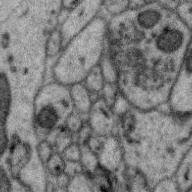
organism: Zebra finch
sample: Brain